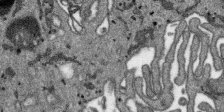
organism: Human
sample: Lung epithelial cells, uninfected (mock) control